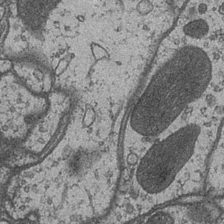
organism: Drosophila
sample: Optic medulla